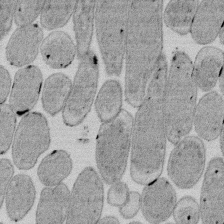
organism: E. coli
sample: Bacterial nucleoid